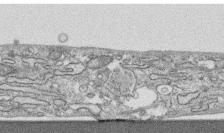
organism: Human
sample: CRL-1474